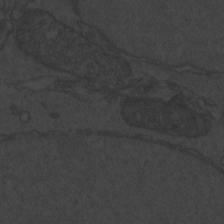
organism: Zebrafish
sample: Macrophage infected with Toxoplasma gondii